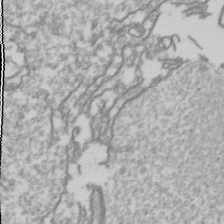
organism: Drosophila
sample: Cell division; meiosis; drosophila spermatocytes